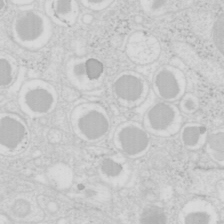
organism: Mouse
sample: Pancreas